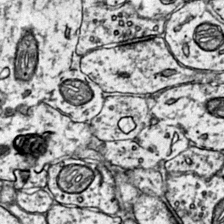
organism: Mouse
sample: Primary visual cortex